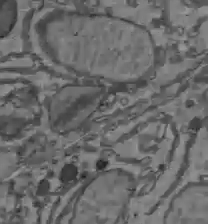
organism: C57BL Mouse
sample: Liver